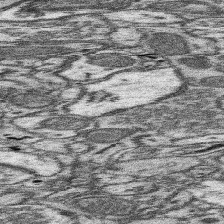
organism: Mouse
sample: Somatosensory cortex neuropil